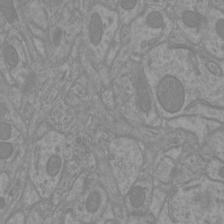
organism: Mouse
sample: Cortical neurons